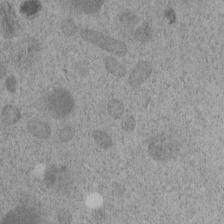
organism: C. elegans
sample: C. elegans embryo early stage